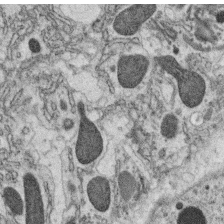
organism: C. elegans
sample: C. elegans oocyte; sperm cells